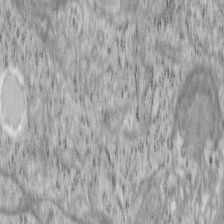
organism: Human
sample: HeLa cells